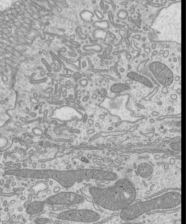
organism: Mouse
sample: Cilia; mouse epididymis